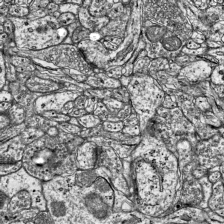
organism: Mouse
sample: Visual Cortex